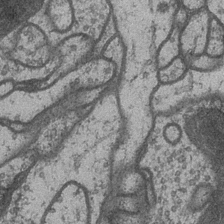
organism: Drosophila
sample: Optic medulla